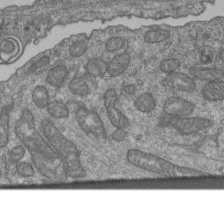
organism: Human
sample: Retinal organoid Rod and Cone cells